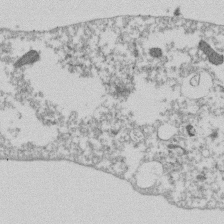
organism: Dictyostelium discoideum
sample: Dictyostelium multivesicular bodies